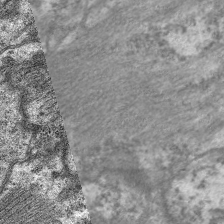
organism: C. elegans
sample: Pharynx